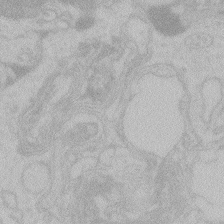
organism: Zebrafish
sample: Macrophage infected with Toxoplasma gondii